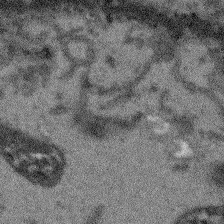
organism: Arabidopsis thaliana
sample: Root tip